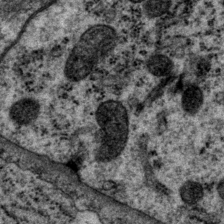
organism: P. pacificus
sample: Pharynx